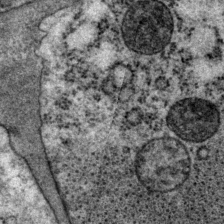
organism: P. pacificus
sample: Pharynx